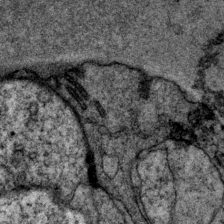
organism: P. pacificus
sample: Pharynx